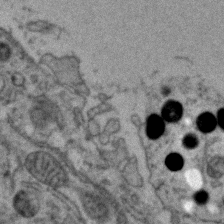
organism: Zebrafish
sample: Zebrafish embryo